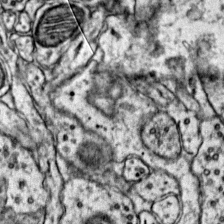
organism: Mouse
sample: Primary visual cortex